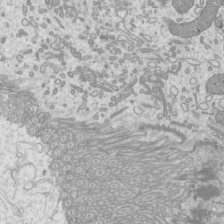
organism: Mouse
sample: Cilia; mouse epididymis